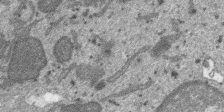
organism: Human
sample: Lung epithelial cells infected with SARS-CoV-2